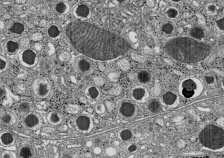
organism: C57BL Mouse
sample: Pancreatic islet